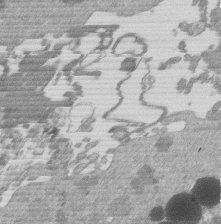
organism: Mouse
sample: Dividing mouse embryo 1 cell stage